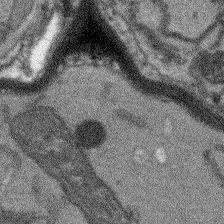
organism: Arabidopsis thaliana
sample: Root tip